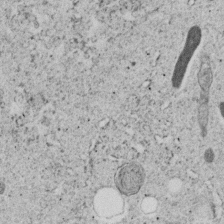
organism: C. elegans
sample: C. elegans embryo early stage